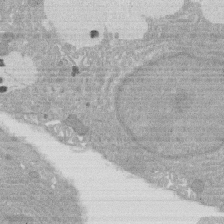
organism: Rat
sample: Salivary granule